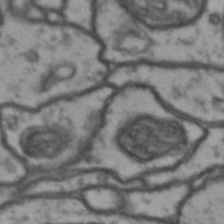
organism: Drosophila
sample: Brain